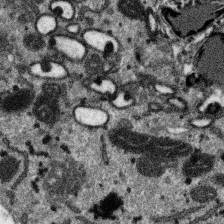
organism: Human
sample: Lung epithelial cells infected with SARS-CoV-2